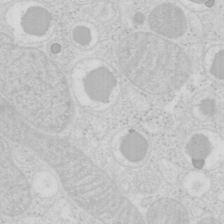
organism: Mouse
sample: Pancreas